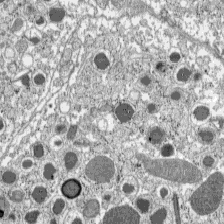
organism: C57BL Mouse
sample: Pancreatic islet